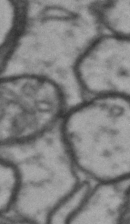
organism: Drosophila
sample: Brain